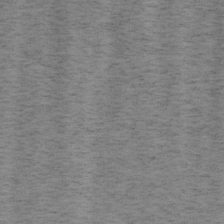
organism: Mouse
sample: OT-I killer T cells with ID8 ovarian cancer cells